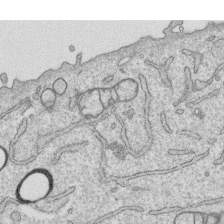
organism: Human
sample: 1205lu cells